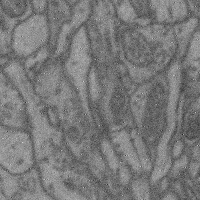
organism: Mouse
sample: Cerebral cortex